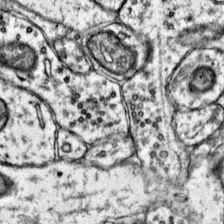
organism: Mouse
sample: Primary visual cortex